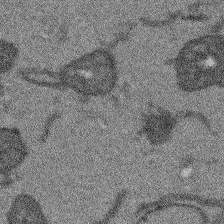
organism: Arabidopsis thaliana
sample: Root tip